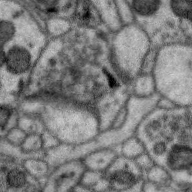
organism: Zebra finch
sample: Brain